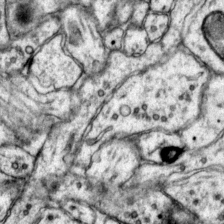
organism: Mouse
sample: Primary visual cortex